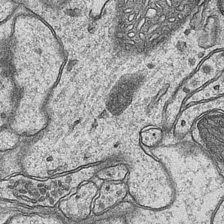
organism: Mouse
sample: CA1 Hippocampus